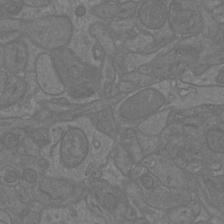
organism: Mouse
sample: Cortical neurons